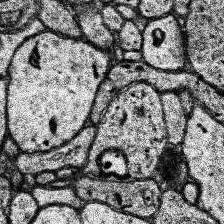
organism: Human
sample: Temporal Lobe